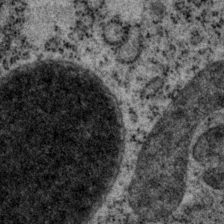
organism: P. pacificus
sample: Pharynx